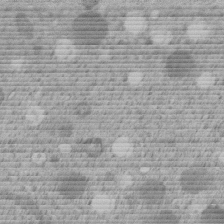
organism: C. elegans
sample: C. elegans embryo early stage